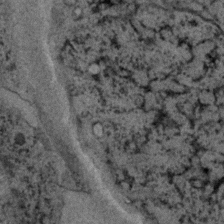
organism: C. elegans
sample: C. elegans embryo